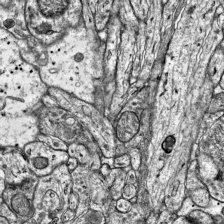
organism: Mouse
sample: Visual Cortex